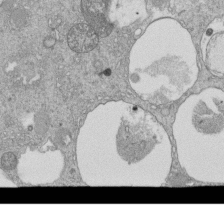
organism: Tetrahymena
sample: Cilia in tetrahymena